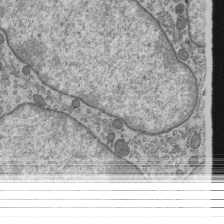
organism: Mouse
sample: Mouse epididymis efferent ductule cilia